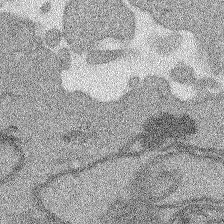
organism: Human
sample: HeLa cells